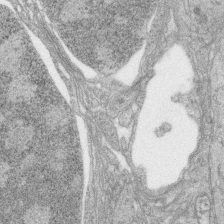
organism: Zebrafish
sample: synaptic ribbons in rod cells and cone cells